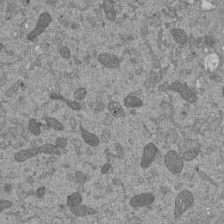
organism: Mouse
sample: ED-1 cell nuclei; centrioles